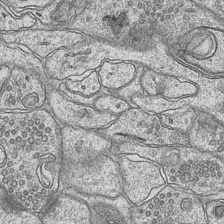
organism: Mouse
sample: CA1 Hippocampus